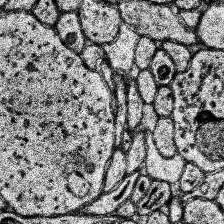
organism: Human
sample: Temporal Lobe